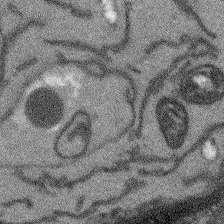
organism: Arabidopsis thaliana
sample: Root tip